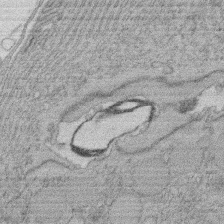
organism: Rat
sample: Salivary granule